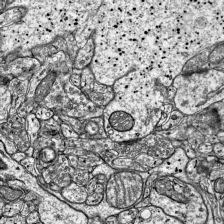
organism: Mouse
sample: Visual Cortex